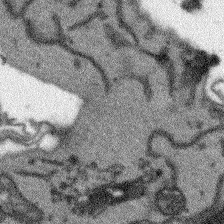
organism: Arabidopsis thaliana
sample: Root tip